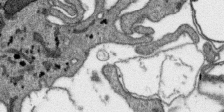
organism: Human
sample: Lung epithelial cells, uninfected (mock) control